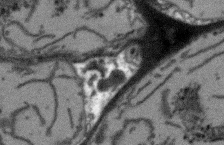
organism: Arabidopsis thaliana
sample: Root tip